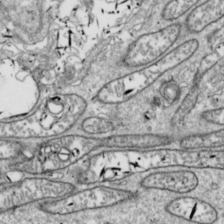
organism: Drosophila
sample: Cell division; meiosis; drosophila spermatocytes